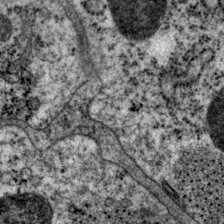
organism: P. pacificus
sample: Pharynx